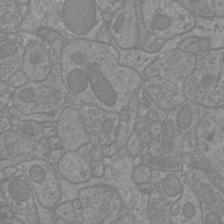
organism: Mouse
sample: Cortical neurons